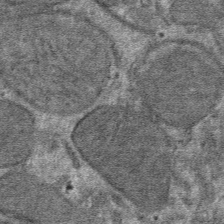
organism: Mouse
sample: Mouse hepatocytes